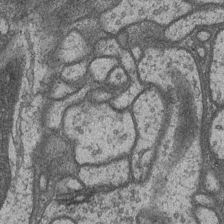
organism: Drosophila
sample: Optic medulla